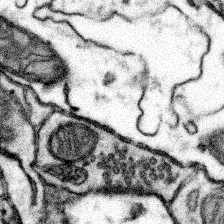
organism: Mouse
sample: Somatosensory cortex neuropil